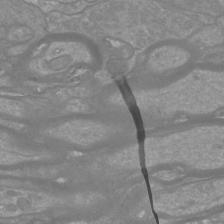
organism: Mouse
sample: Cortical neurons